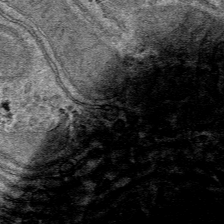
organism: Mouse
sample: Mouse hepatocytes